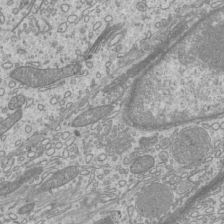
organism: Mouse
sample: Cilia; mouse epididymis